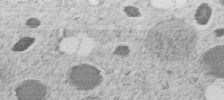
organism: C. elegans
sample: C. elegans embryo early stage